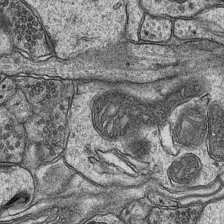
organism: Mouse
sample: CA1 Hippocampus